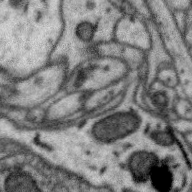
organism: Zebra finch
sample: Brain